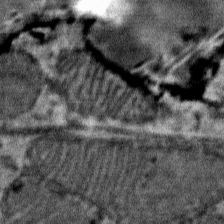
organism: Mouse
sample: Mouse Salivary gland